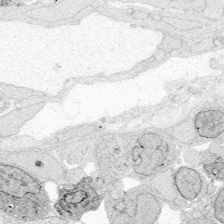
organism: Zebrafish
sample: Whole-Brain